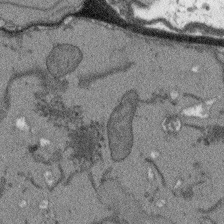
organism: Arabidopsis thaliana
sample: Root tip